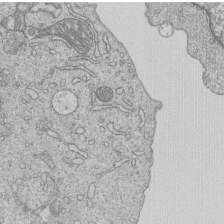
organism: Human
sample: MDA-MB-231 cells